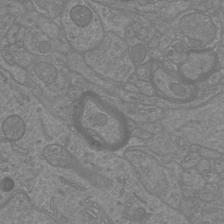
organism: Mouse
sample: Cortical neurons